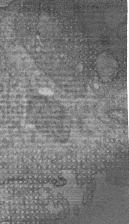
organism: Human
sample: Retinal organoid Rod and Cone cells